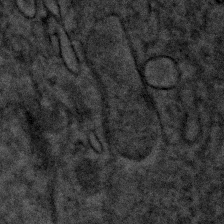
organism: Human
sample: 1205lu cells